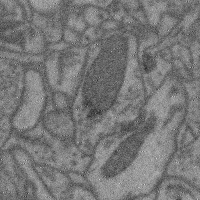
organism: Mouse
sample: Cerebral cortex